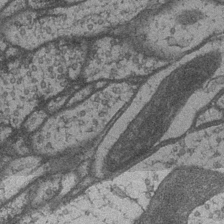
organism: Drosophila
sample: Optic medulla